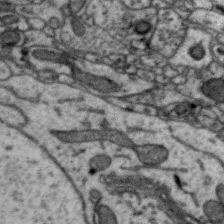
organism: Zebra finch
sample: Brain